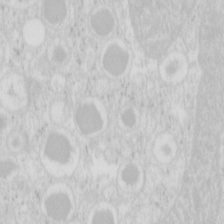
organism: Mouse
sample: Pancreas